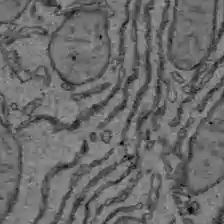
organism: C57BL Mouse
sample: Liver